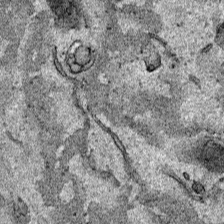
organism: Human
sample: Mitochondria in HCT116 cells